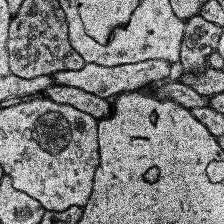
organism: Human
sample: Temporal Lobe